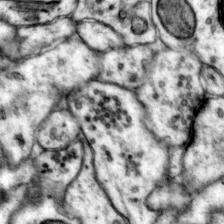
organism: Mouse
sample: Primary visual cortex